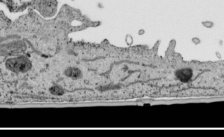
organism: Human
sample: Mitochondria in HCT116 cells